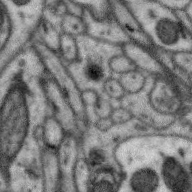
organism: Zebra finch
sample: Brain